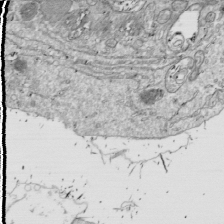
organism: Drosophila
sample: Cell division; meiosis; drosophila spermatocytes